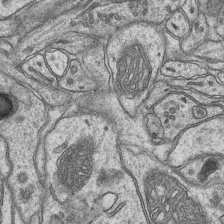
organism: Mouse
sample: CA1 Hippocampus